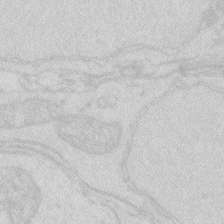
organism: Zebrafish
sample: Macrophage